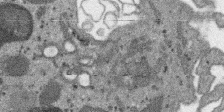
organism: Human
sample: Lung epithelial cells infected with SARS-CoV-2